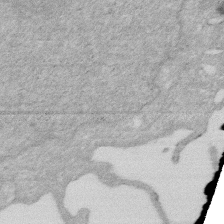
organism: Human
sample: HIV infected U937 cells